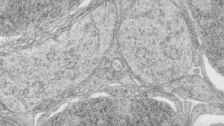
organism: Zebrafish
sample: synaptic ribbons in rod cells and cone cells